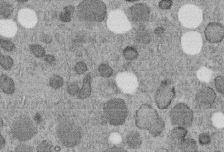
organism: C. elegans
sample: C. elegans embryo early stage